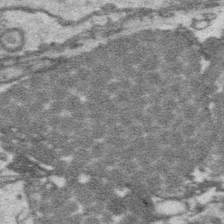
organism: Platynereis dumerilii